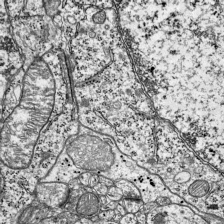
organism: Mouse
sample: Visual Cortex